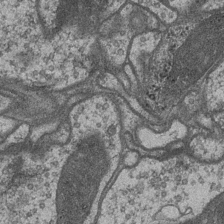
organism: Drosophila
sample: Optic medulla